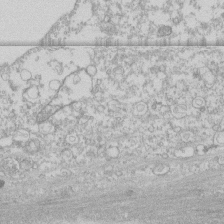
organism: Human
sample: CRL-1474